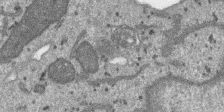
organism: Human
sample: Lung epithelial cells infected with SARS-CoV-2